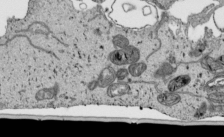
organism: Human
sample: Mitochondria in HCT116 cells